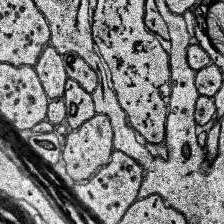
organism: Human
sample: Temporal Lobe